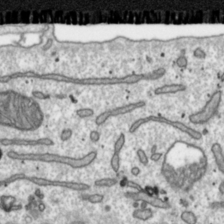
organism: Toxoplasma gondii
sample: Parasites in a vacuole inside a host cell